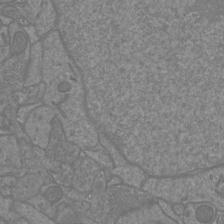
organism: Mouse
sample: Cortical neurons